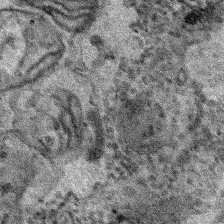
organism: Human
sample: Mitochondria in HCT116 cells